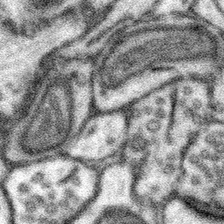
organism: Mouse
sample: Somatosensory cortex neuropil